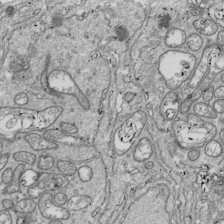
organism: Drosophila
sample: Cell division; meiosis; drosophila spermatocytes